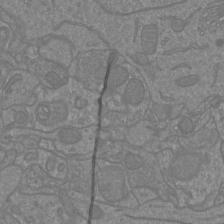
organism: Mouse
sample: Cortical neurons